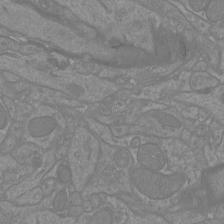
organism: Mouse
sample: Cortical neurons